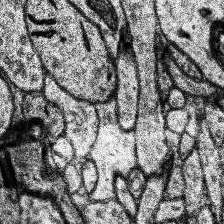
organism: Human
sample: Temporal Lobe